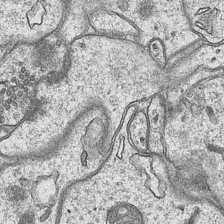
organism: Mouse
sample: CA1 Hippocampus